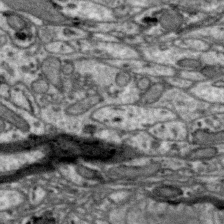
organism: Zebra finch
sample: Brain